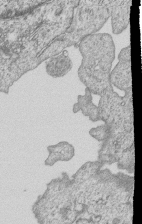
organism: Human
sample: MDA-MB-231 cells